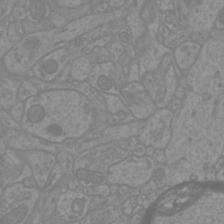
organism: Mouse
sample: Cortical neurons